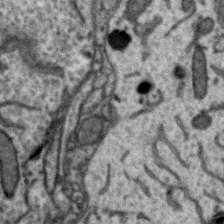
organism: Zebra finch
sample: Brain